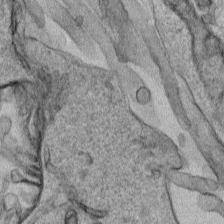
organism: Human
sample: Mitochondria in HCT116 cells